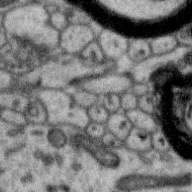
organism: Zebra finch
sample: Brain